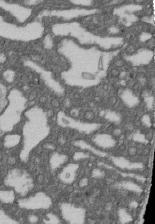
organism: Drosophila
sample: Nephrocyte